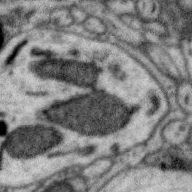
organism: Zebra finch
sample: Brain